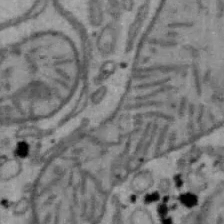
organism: Mouse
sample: Liver